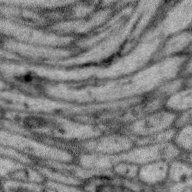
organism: Zebra finch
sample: Brain